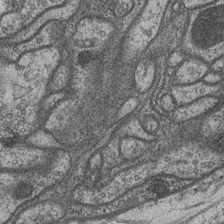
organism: Drosophila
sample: Optic medulla